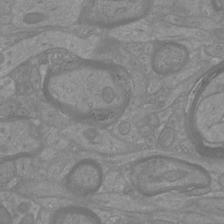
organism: Mouse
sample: Cortical neurons